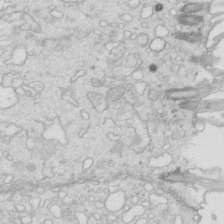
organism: Mouse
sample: Multiciliated cells